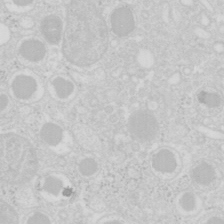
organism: Mouse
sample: Pancreas